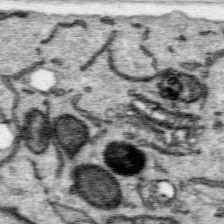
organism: Human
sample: HeLa cells